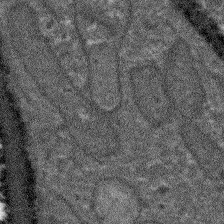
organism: Arabidopsis thaliana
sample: Root tip